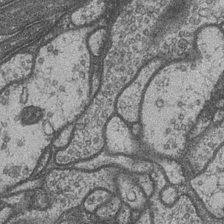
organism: Drosophila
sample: Optic medulla